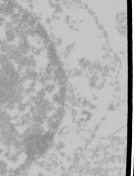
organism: Mouse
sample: Cancer cell death in ED-1 cells